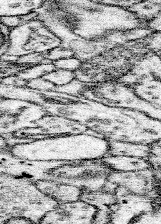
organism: Mouse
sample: Somatosensory cortex neuropil